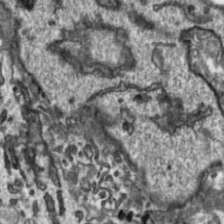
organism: Toxoplasma gondii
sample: Parasites in a vacuole inside a host cell